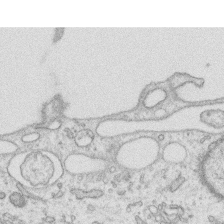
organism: Human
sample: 1205lu cells